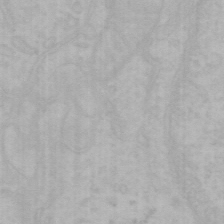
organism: Mouse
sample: Choroid plexus